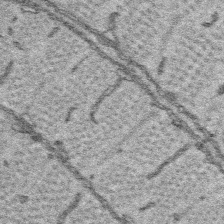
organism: Platynereis dumerilii